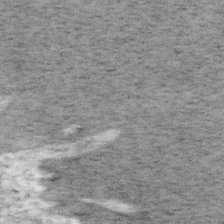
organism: Mouse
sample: OT-I killer T cells with ID8 ovarian cancer cells